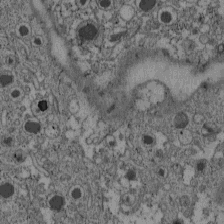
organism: C57BL Mouse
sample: Pancreatic islet